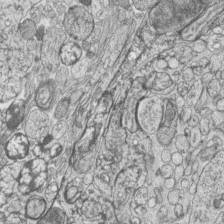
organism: Zebrafish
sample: synaptic ribbons in rod cells and cone cells